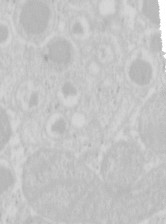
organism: Mouse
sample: Pancreas